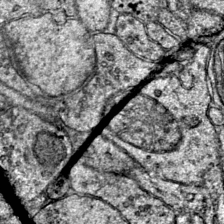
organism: Mouse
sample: Primary visual cortex